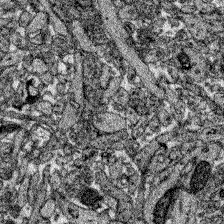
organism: Zebrafish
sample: Larval olfactory bulb